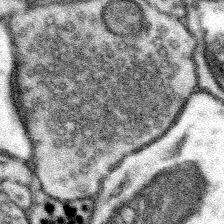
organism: Mouse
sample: Somatosensory cortex neuropil